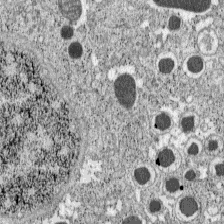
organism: C57BL Mouse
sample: Pancreatic islet